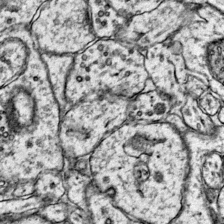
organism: Mouse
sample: Primary visual cortex